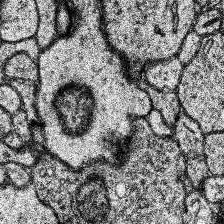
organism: Human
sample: Temporal Lobe